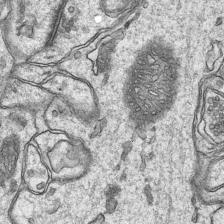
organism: Mouse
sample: CA1 Hippocampus